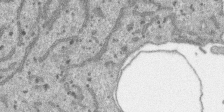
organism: Human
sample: Lung epithelial cells infected with SARS-CoV-2